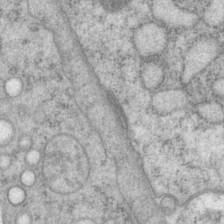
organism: P. pacificus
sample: Pharynx